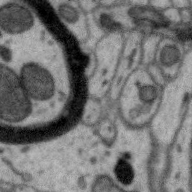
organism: Zebra finch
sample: Brain